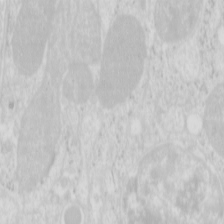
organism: Mouse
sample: Pancreas